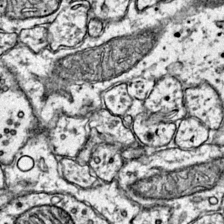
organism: Mouse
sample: Primary visual cortex